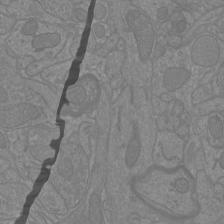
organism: Mouse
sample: Cortical neurons